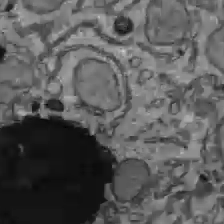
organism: C57BL Mouse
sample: Liver